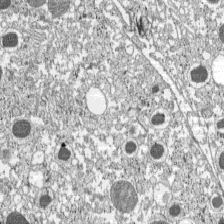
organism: C57BL Mouse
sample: Pancreatic islet